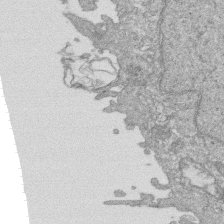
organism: Human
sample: HeLa cell HIV synapse